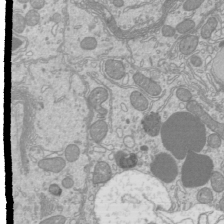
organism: Mouse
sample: Cilia; mouse epididymis